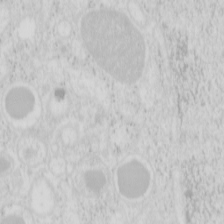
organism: Mouse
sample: Pancreas